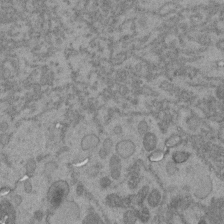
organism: C. elegans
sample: C. elegans embryo early stage